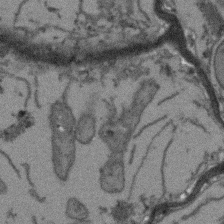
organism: Arabidopsis thaliana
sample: Root tip